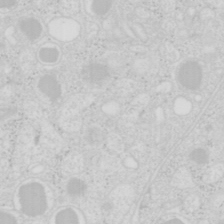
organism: Mouse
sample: Pancreas